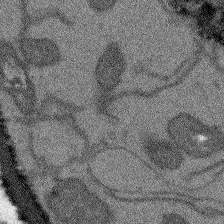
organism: Arabidopsis thaliana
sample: Root tip